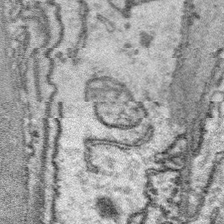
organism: Platynereis dumerilii